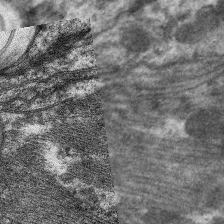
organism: C. elegans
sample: Pharynx